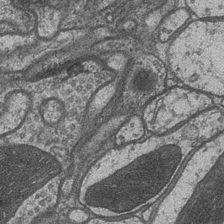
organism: Drosophila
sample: Optic medulla